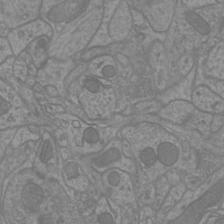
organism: Mouse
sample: Cortical neurons